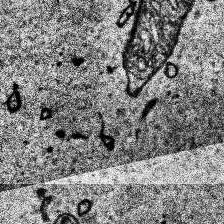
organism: Human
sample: Temporal Lobe